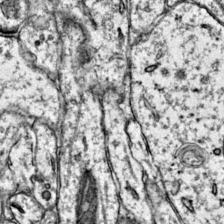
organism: Mouse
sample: Primary visual cortex